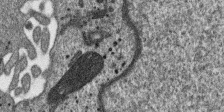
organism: Human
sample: Lung epithelial cells infected with SARS-CoV-2